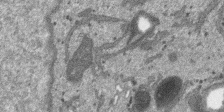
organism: Human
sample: Lung epithelial cells infected with SARS-CoV-2